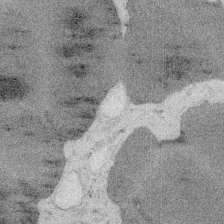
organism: Embia sp.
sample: Silk gland